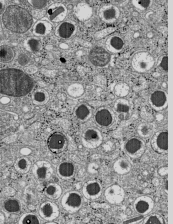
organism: C57BL Mouse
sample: Pancreatic islet